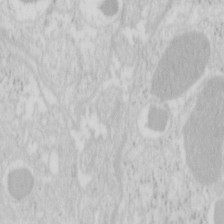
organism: Mouse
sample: Pancreas